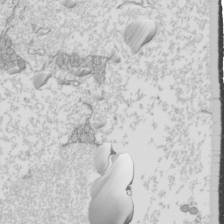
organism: Mouse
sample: Cilia; mouse epididymis